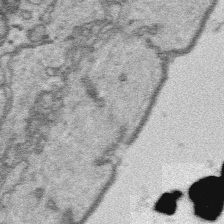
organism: Platynereis dumerilii